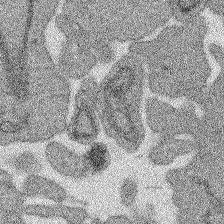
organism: Human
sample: HeLa cells